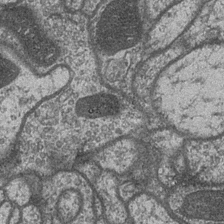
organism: Drosophila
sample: Optic medulla